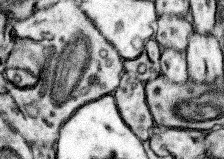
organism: Mouse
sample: Somatosensory cortex neuropil